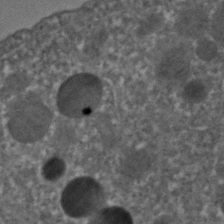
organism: C. elegans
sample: C. elegans embryo